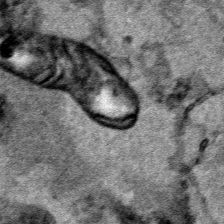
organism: Human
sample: Mitochondria in HCT116 cells